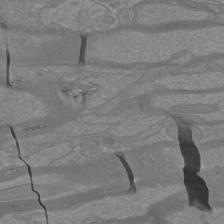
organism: Mouse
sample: Cortical neurons